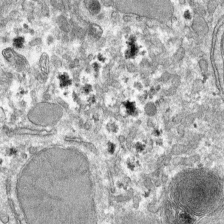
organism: Mouse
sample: Mouse hepatocytes